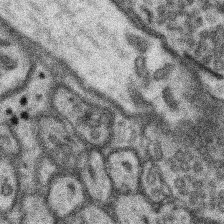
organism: Mouse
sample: Somatosensory cortex neuropil